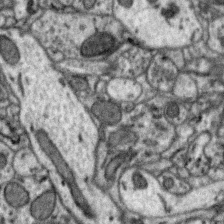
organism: Zebra finch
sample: Brain